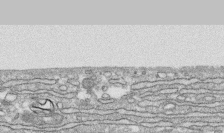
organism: Human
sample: CRL-1474